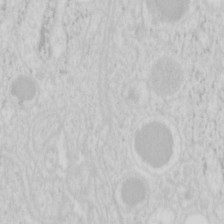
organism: Mouse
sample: Pancreas